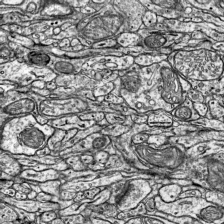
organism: Mouse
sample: Visual Cortex